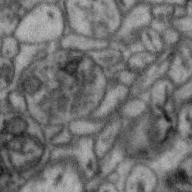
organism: Zebra finch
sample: Brain